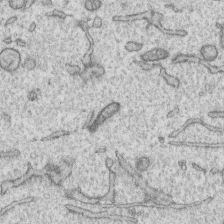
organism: Human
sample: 1205lu cells